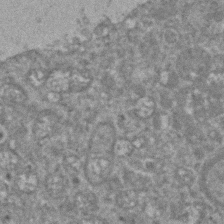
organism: Zebrafish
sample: Zebrafish embryo